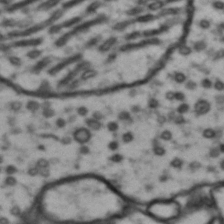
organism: Drosophila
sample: Brain